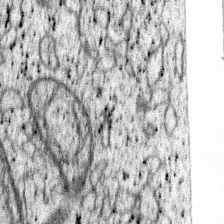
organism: Human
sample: HeLa cells